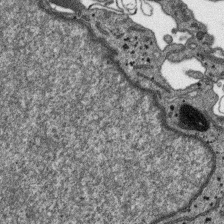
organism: Human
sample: Lung epithelial cells infected with SARS-CoV-2